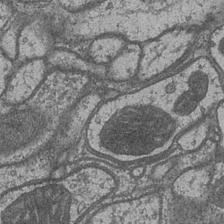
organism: Drosophila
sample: Optic medulla